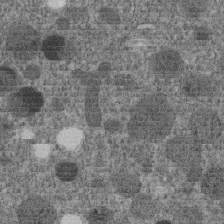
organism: C. elegans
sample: C. elegans embryo early stage